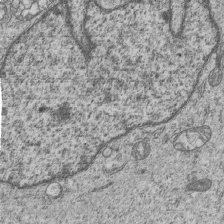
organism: Human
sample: MDA-MB-231 cells